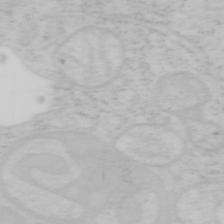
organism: Mouse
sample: OT-I killer T cells with ID8 ovarian cancer cells